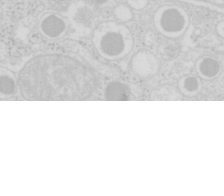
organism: Mouse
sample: Pancreas